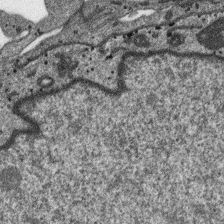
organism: Human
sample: Lung epithelial cells infected with SARS-CoV-2